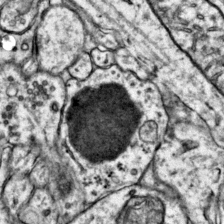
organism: Mouse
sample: Primary visual cortex